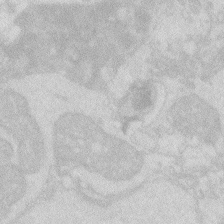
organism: Zebrafish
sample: Macrophage